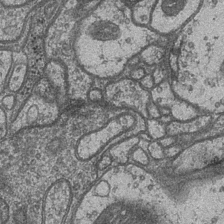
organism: Drosophila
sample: Optic medulla